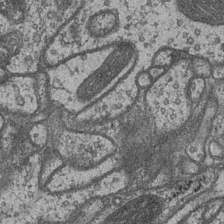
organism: Drosophila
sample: Optic medulla